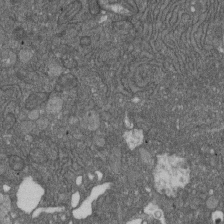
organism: Drosophila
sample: Nephrocyte